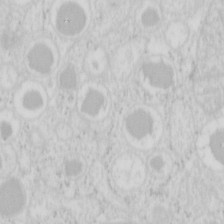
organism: Mouse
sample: Pancreas